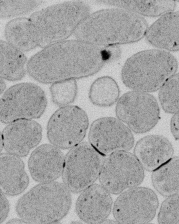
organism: E. coli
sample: Bacterial nucleoid